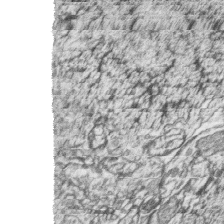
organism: Zebrafish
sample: synaptic ribbons in rod cells and cone cells